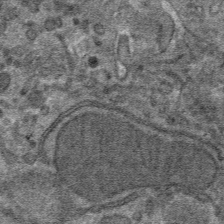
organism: Mouse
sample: Mouse hepatocytes